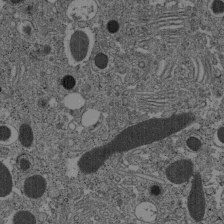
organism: C57BL Mouse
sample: Pancreatic islet